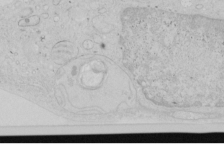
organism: Human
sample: Mitochondria in HCT116 cells